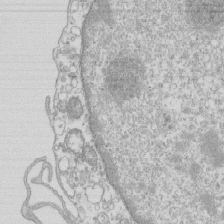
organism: Mouse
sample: Macrophages